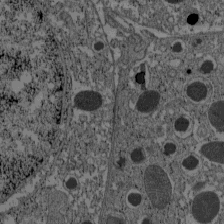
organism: C57BL Mouse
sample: Pancreatic islet